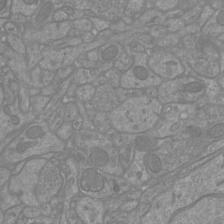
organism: Mouse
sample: Cortical neurons